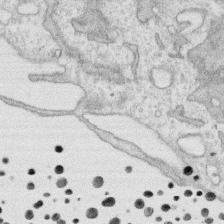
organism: Human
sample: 1205lu cells